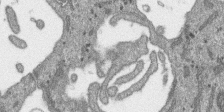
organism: Human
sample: Lung epithelial cells infected with SARS-CoV-2